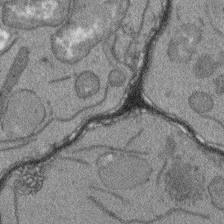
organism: Arabidopsis thaliana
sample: Root tip